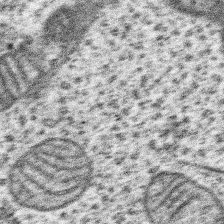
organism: Human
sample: HeLa cells